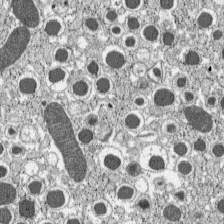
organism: C57BL Mouse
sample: Pancreatic islet